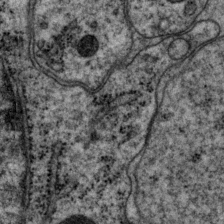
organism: P. pacificus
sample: Pharynx